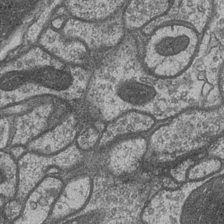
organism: Drosophila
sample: Optic medulla